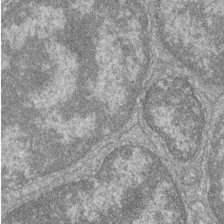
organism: Zebrafish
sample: Cilia; retinal pigment epithelium